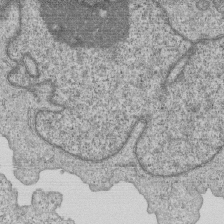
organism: Human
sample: MDA-MB-231 cells